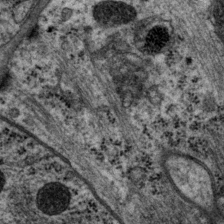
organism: P. pacificus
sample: Pharynx